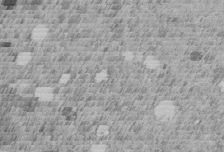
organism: C. elegans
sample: C. elegans embryo early stage